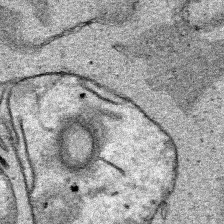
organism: Human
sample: Mitochondria in HCT116 cells